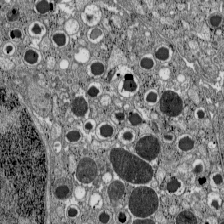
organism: C57BL Mouse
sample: Pancreatic islet